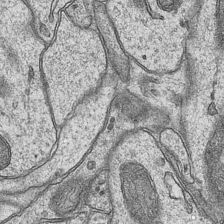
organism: Mouse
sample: CA1 Hippocampus